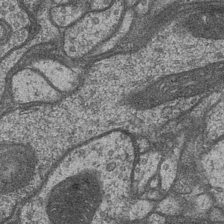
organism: Drosophila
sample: Optic medulla